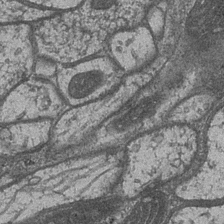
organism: Drosophila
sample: Optic medulla